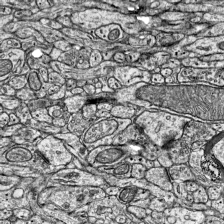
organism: Mouse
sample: Visual Cortex